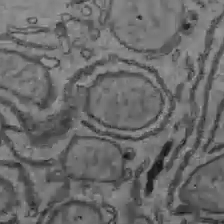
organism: C57BL Mouse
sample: Liver